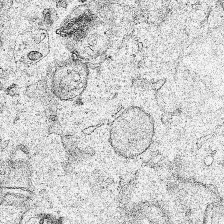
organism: Human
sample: Mitochondria in HCT116 cells